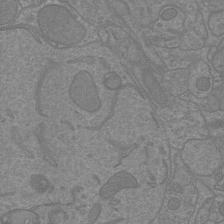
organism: Mouse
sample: Cortical neurons